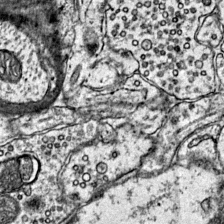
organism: Mouse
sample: Primary visual cortex